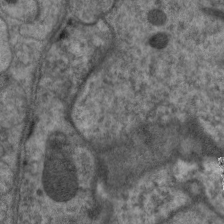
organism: C. elegans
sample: Pharynx